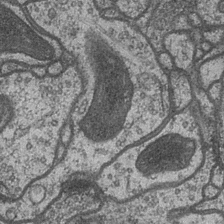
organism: Drosophila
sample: Optic medulla